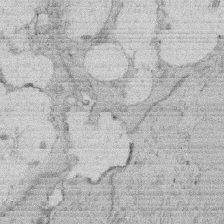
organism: Rat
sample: Salivary granule